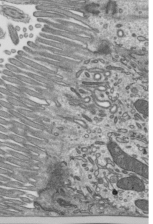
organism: Mouse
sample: Mouse epididymis efferent ductule cilia